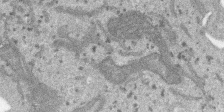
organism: Human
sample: Lung epithelial cells infected with SARS-CoV-2